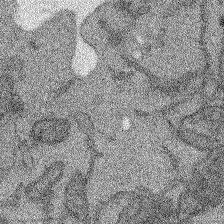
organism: Human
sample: HeLa cells